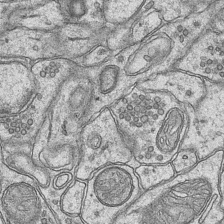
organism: Mouse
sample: CA1 Hippocampus